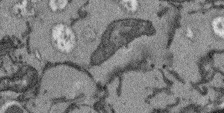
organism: Arabidopsis thaliana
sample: Root tip